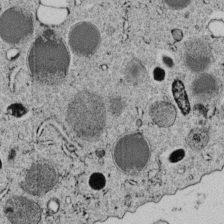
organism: C. elegans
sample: C. elegans embryo early stage